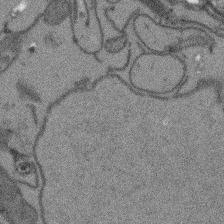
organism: Arabidopsis thaliana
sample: Root tip